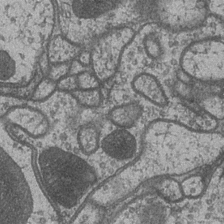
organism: Drosophila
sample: Optic medulla